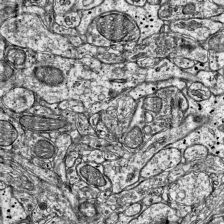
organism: Mouse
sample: Visual Cortex